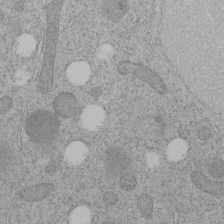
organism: C. elegans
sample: C. elegans embryo early stage